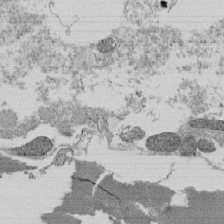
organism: Tetrahymena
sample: Cilia in tetrahymena